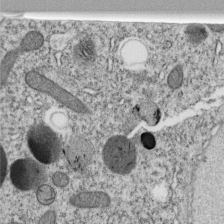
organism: C. elegans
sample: C. elegans embryo early stage